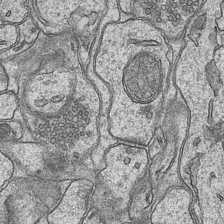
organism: Mouse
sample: CA1 Hippocampus